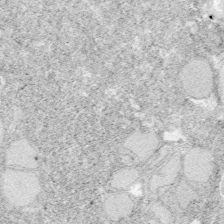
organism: Zebrafish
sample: Whole-Brain